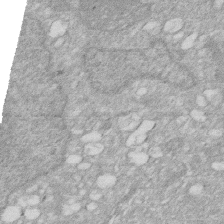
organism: Human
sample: HIV infected U937 cells